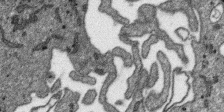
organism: Human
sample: Lung epithelial cells infected with SARS-CoV-2